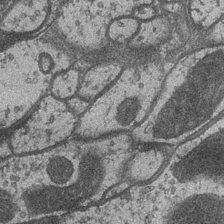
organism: Drosophila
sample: Optic medulla